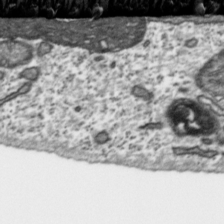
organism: Toxoplasma gondii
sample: Parasites in a vacuole inside a host cell